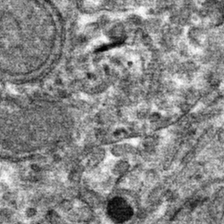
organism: Mouse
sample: Mouse hepatocytes